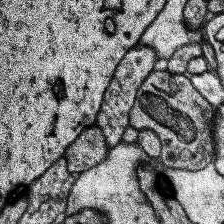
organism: Human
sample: Temporal Lobe